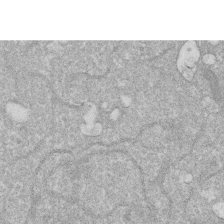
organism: Human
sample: HIV infected U937 cells